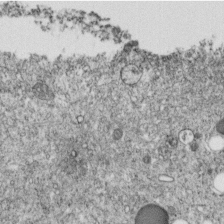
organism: C. elegans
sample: C. elegans embryo early stage